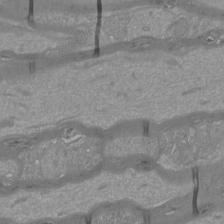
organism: Mouse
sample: Cortical neurons